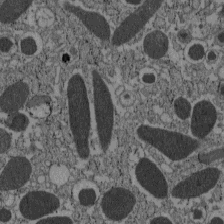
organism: C57BL Mouse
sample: Pancreatic islet